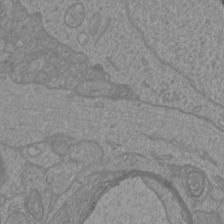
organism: Mouse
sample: Cortical neurons